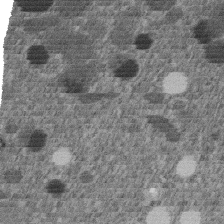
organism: C. elegans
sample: C. elegans embryo early stage